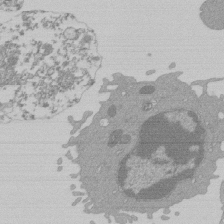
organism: Mouse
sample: Activated Pmel transgenic CD8+ T Cells